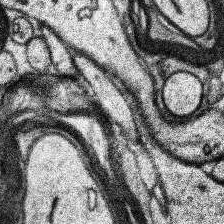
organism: Human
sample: Temporal Lobe